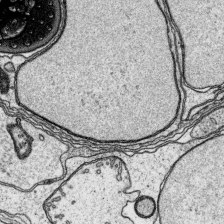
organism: Platynereis dumerilii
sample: Parapodia